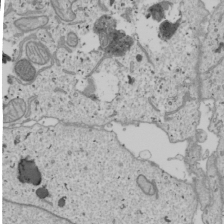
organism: Human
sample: Mitochondria in U2OS cells